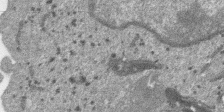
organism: Human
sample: Lung epithelial cells infected with SARS-CoV-2